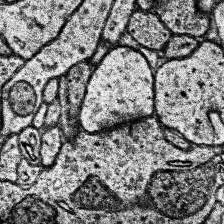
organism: Human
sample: Temporal Lobe